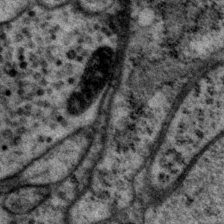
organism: P. pacificus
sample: Pharynx